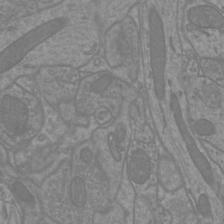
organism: Mouse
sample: Cortical neurons